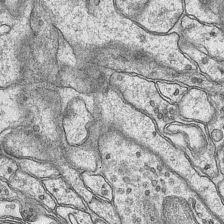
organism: Mouse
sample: CA1 Hippocampus